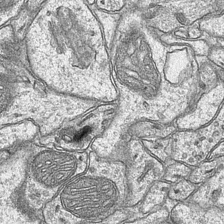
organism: Mouse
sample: CA1 Hippocampus